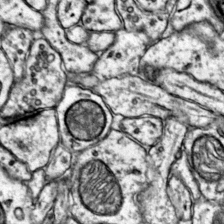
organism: Mouse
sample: Primary visual cortex